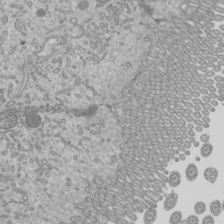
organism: Mouse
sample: Cilia; mouse epididymis